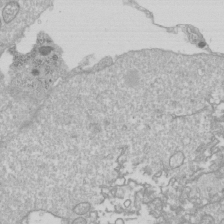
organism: Drosophila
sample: Cell division; meiosis; drosophila spermatocytes